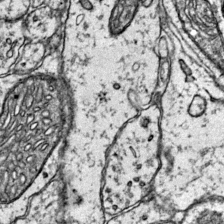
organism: Mouse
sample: Primary visual cortex